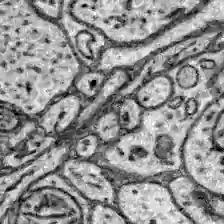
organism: Zebrafish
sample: Brain